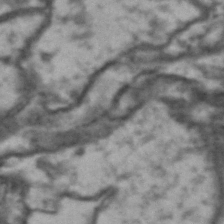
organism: Drosophila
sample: Brain